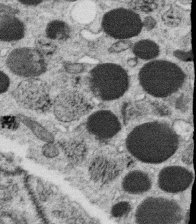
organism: C. elegans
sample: C. elegans oocyte; sperm cells